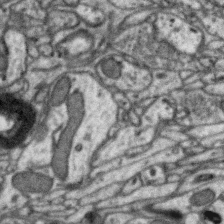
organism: Zebra finch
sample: Brain